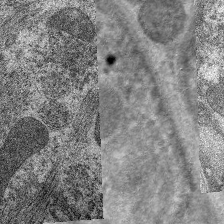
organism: C. elegans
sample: Pharynx